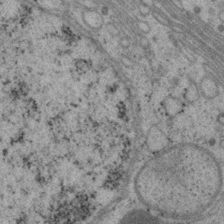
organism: Human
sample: HeLa cells